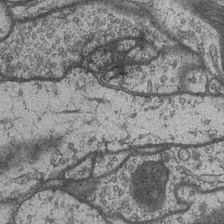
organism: Drosophila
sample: Optic medulla